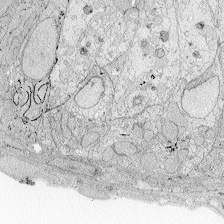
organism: Zebrafish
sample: Whole-Brain